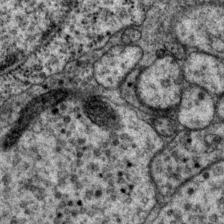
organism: P. pacificus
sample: Pharynx